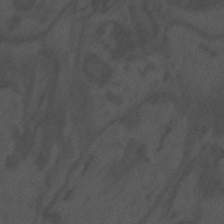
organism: Mouse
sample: Suprachiasmatic nucleus